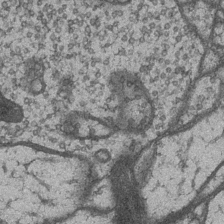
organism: Drosophila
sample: Optic medulla